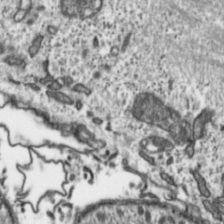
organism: Toxoplasma gondii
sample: Parasites in a vacuole inside a host cell